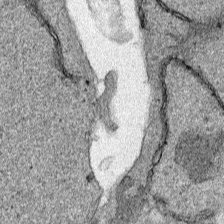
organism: Human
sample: Mitochondria in HCT116 cells